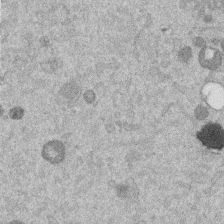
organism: Mouse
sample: Dividing mouse embryo 1 cell stage